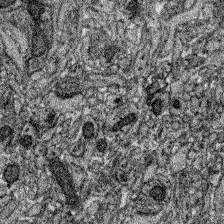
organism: Zebrafish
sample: Larval olfactory bulb